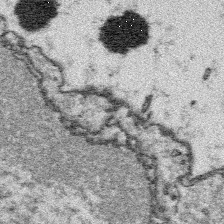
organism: Platynereis dumerilii